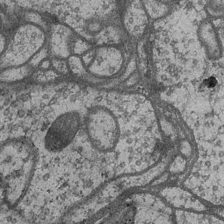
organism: Drosophila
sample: Optic medulla